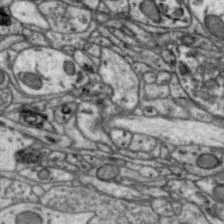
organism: Zebra finch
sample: Brain